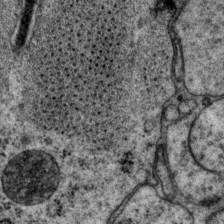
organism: P. pacificus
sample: Pharynx